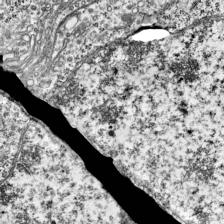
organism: Mouse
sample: Visual Cortex